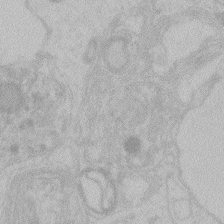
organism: Zebrafish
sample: Macrophage infected with Toxoplasma gondii